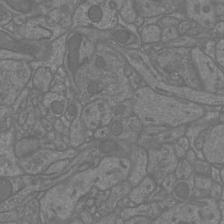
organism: Mouse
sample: Cortical neurons